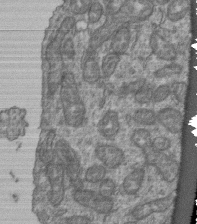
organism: Human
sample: Retinal organoid Rod and Cone cells